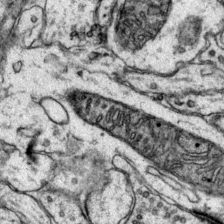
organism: Mouse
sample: Primary visual cortex